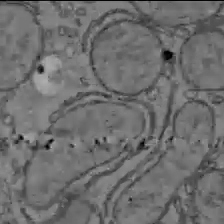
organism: C57BL Mouse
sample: Liver